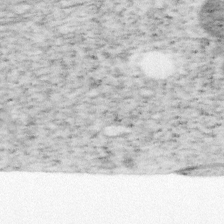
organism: Mouse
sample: OT-I killer T cells with ID8 ovarian cancer cells